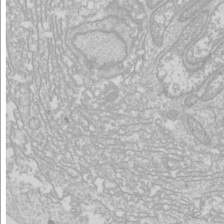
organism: Drosophila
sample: Cell division; meiosis; drosophila spermatocytes